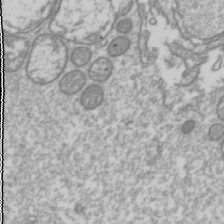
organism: Drosophila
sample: Cell division; meiosis; drosophila spermatocytes